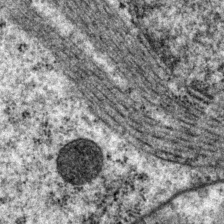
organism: P. pacificus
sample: Pharynx